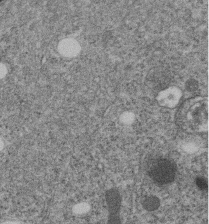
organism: C. elegans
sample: C. elegans embryo early stage